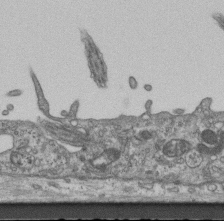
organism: Mouse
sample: Centriole in ependymal cells